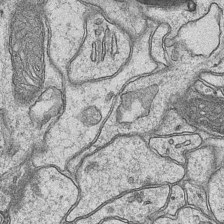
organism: Mouse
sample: CA1 Hippocampus